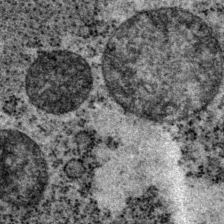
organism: P. pacificus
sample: Pharynx